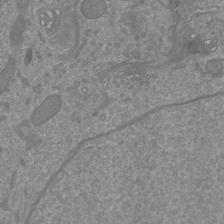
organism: Mouse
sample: Cortical neurons